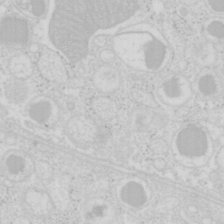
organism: Mouse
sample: Pancreas